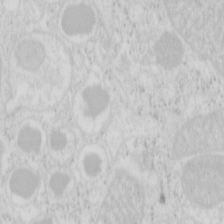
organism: Mouse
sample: Pancreas